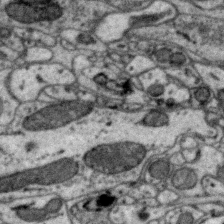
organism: Zebra finch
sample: Brain